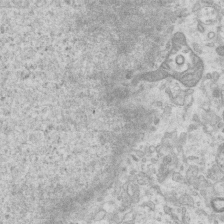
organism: Mouse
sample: Centriole in ependymal cells